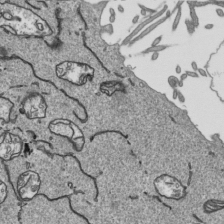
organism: Human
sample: Mitochondria in HCT116 cells